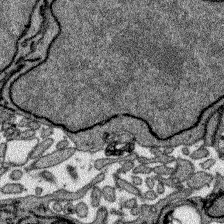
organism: Zebrafish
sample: Larval olfactory bulb